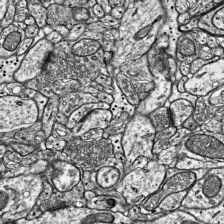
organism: Mouse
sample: Visual Cortex